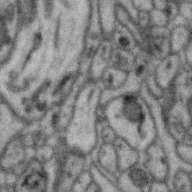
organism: Zebra finch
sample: Brain